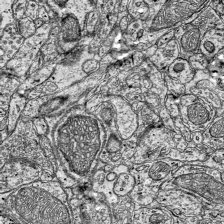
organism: Mouse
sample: Visual Cortex